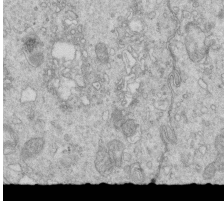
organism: Mouse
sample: Multiciliated cells